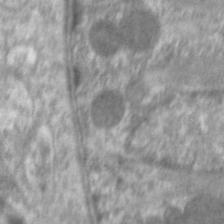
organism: C. elegans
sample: Pharynx